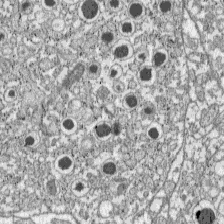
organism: C57BL Mouse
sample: Pancreatic islet